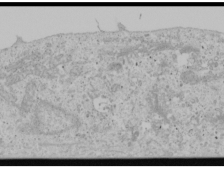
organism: Human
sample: Mitochondria in U2OS cells